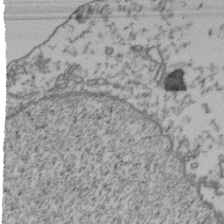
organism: Human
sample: Activated Jurkat CD4+ T cells